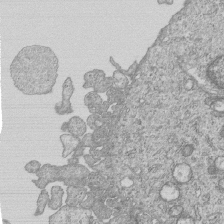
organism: Human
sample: MDA-MB-231 cells